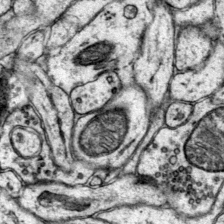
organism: Mouse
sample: Primary visual cortex